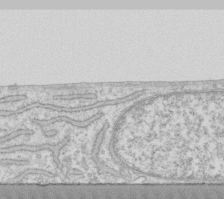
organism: Human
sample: Fibroblast cells